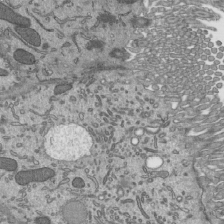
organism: Mouse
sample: Mouse epididymis efferent ductule cilia